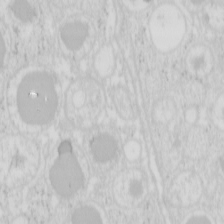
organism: Mouse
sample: Pancreas